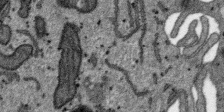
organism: Human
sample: Lung epithelial cells, uninfected (mock) control